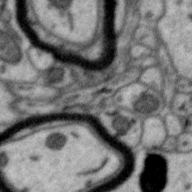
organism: Zebra finch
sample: Brain